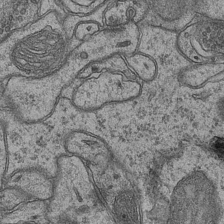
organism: Mouse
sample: CA1 Hippocampus